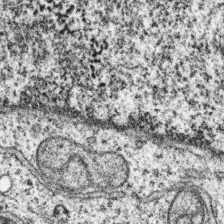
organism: Human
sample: HeLa cells